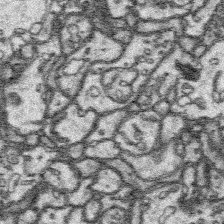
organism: Platynereis dumerilii